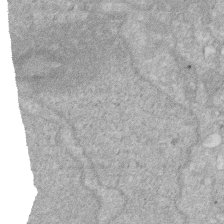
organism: Human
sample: HIV infected U937 cells